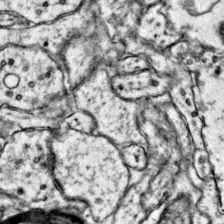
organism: Mouse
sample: Primary visual cortex